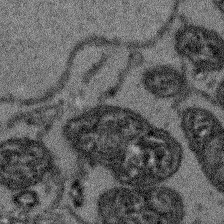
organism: Arabidopsis thaliana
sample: Root tip